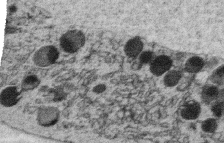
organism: C. elegans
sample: C. elegans oocyte; sperm cells